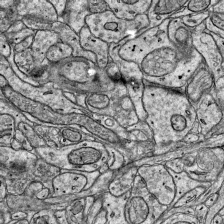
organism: Mouse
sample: Visual Cortex